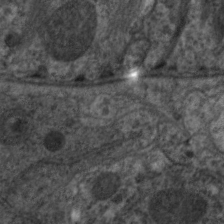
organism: C. elegans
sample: Pharynx